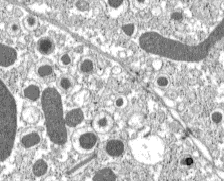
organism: C57BL Mouse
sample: Pancreatic islet